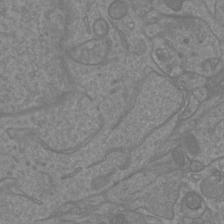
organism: Mouse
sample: Cortical neurons